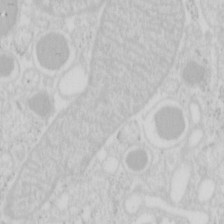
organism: Mouse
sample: Pancreas